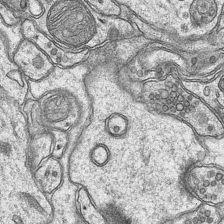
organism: Mouse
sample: CA1 Hippocampus